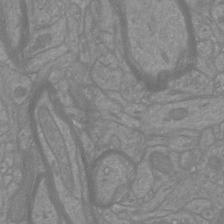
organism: Mouse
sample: Cortical neurons